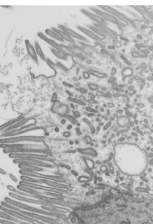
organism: Mouse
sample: Mouse epididymis efferent ductule cilia